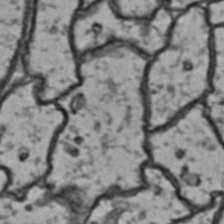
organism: Drosophila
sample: Brain